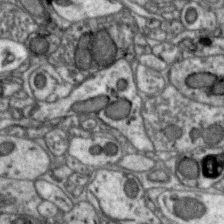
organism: Zebra finch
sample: Brain